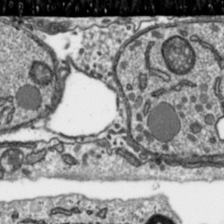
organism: Toxoplasma gondii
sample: Parasites in a vacuole inside a host cell